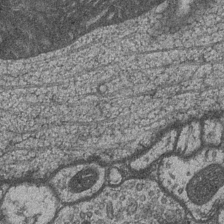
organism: Drosophila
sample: Optic medulla